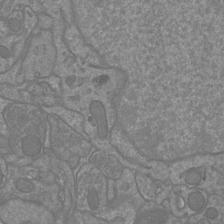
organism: Mouse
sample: Cortical neurons